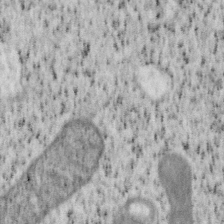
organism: Mouse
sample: OT-I killer T cells with ID8 ovarian cancer cells